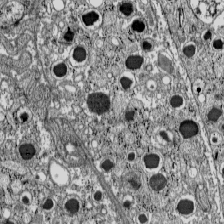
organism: C57BL Mouse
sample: Pancreatic islet